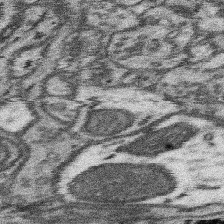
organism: Mouse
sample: Somatosensory cortex neuropil